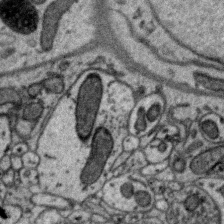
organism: Zebra finch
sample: Brain